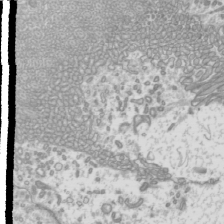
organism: Mouse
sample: Cilia; mouse epididymis